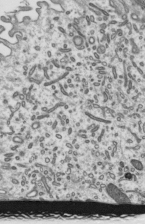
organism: Mouse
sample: Mouse epididymis efferent ductule cilia